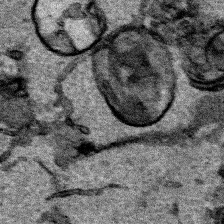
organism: Human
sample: Mitochondria in HCT116 cells